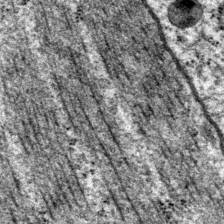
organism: P. pacificus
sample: Pharynx